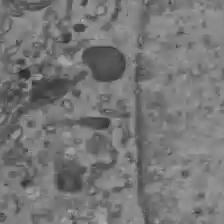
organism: C57BL Mouse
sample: Liver